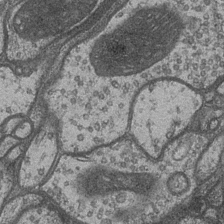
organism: Drosophila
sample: Optic medulla